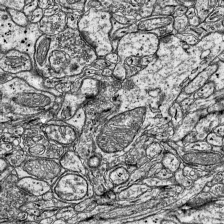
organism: Mouse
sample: Visual Cortex